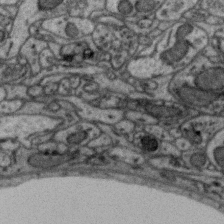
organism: Zebra finch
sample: Brain